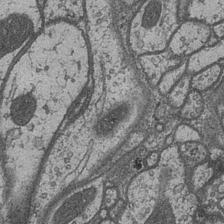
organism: Drosophila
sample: Optic medulla